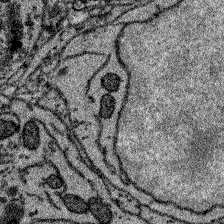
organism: Zebrafish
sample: Larval olfactory bulb